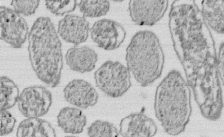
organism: E. coli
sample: Bacterial nucleoid